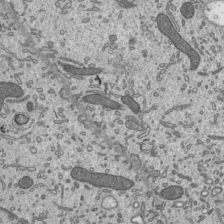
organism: Mouse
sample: Mouse epididymis efferent ductule cilia